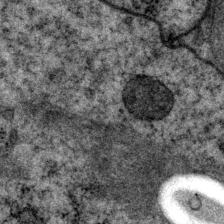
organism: P. pacificus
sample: Pharynx